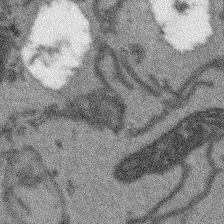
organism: Arabidopsis thaliana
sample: Root tip